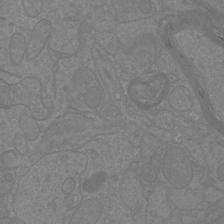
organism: Mouse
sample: Cortical neurons